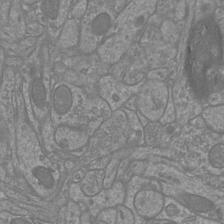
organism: Mouse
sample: Cortical neurons